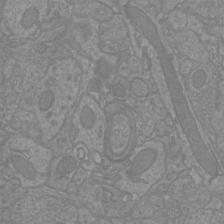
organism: Mouse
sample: Cortical neurons